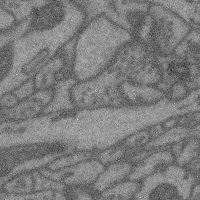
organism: Mouse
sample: Cerebral cortex